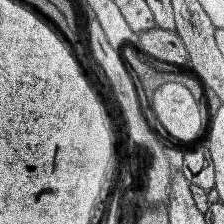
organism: Human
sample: Temporal Lobe